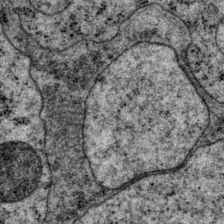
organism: P. pacificus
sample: Pharynx